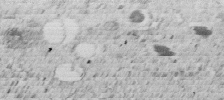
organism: C. elegans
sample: C. elegans embryo early stage